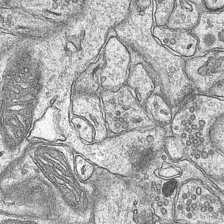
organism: Mouse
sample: CA1 Hippocampus